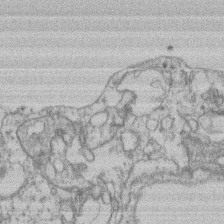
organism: Mouse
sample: T cell stromal cell synapse